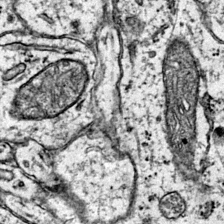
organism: Mouse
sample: Primary visual cortex